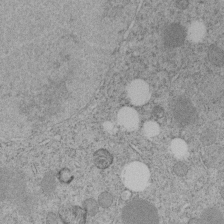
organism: C. elegans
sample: C. elegans embryo early stage